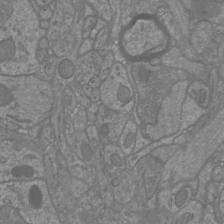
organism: Mouse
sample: Cortical neurons